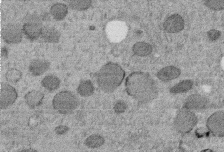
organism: C. elegans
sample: C. elegans embryo early stage